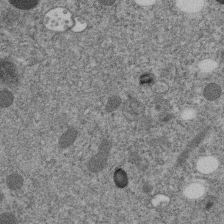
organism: C. elegans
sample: C. elegans embryo early stage